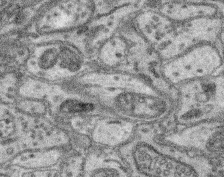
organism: Mouse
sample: Retina